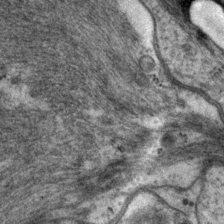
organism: P. pacificus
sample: Pharynx